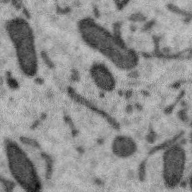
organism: Zebra finch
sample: Brain